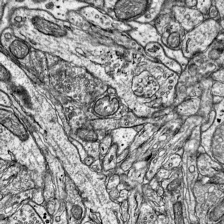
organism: Mouse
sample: Visual Cortex